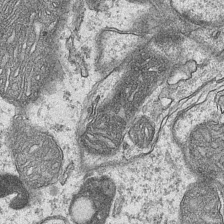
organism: Mouse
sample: CA1 Hippocampus